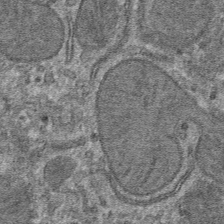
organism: Mouse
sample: Mouse hepatocytes